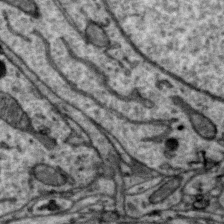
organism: Zebra finch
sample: Brain